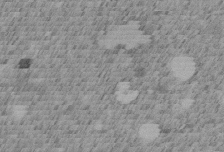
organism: C. elegans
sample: C. elegans embryo early stage